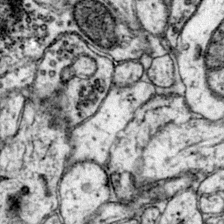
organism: Mouse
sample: Primary visual cortex